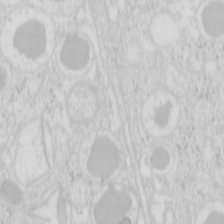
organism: Mouse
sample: Pancreas